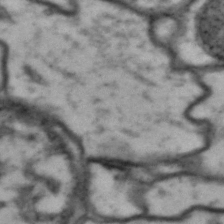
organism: Drosophila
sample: Brain